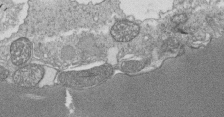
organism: Tetrahymena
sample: Cilia in tetrahymena